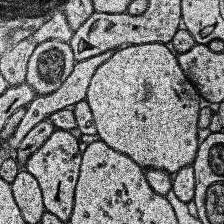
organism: Human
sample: Temporal Lobe